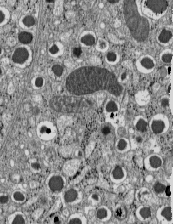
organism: C57BL Mouse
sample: Pancreatic islet